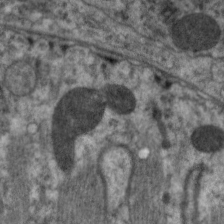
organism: C. elegans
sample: Pharynx